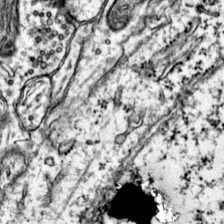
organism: Mouse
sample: Primary visual cortex